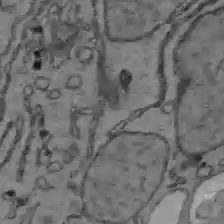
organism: C57BL Mouse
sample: Liver